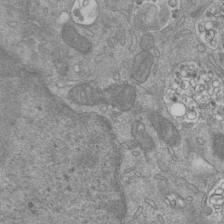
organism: Mouse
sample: ED-1 cell nuclei; centrioles